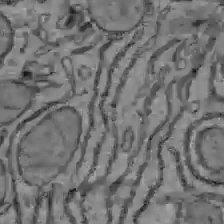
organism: C57BL Mouse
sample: Liver